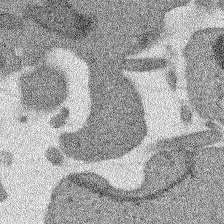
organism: Human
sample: HeLa cells